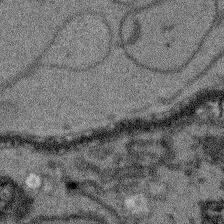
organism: Arabidopsis thaliana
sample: Root tip